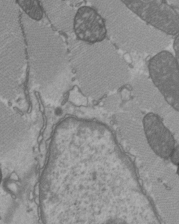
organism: C57BL Mouse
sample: Heart